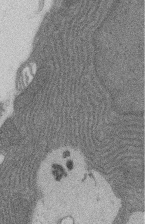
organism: Rat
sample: Salivary granule